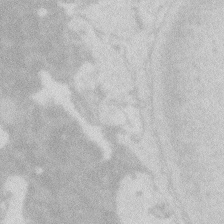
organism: Zebrafish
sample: Macrophage